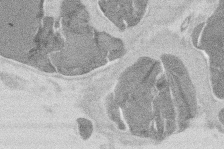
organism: Mouse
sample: T cell stromal cell synapse